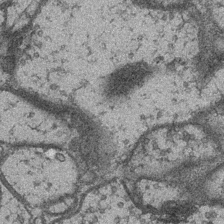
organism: Drosophila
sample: Optic medulla